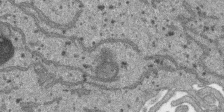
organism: Human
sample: Lung epithelial cells infected with SARS-CoV-2